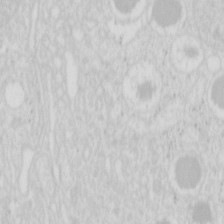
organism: Mouse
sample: Pancreas